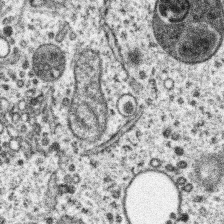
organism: Human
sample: HeLa cells